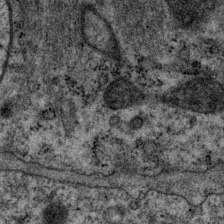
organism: P. pacificus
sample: Pharynx